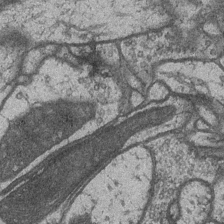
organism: Drosophila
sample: Optic medulla